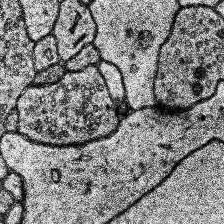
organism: Human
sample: Temporal Lobe